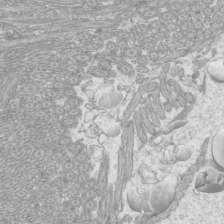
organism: Mouse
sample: Cilia; mouse epididymis